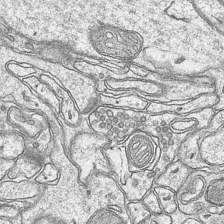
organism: Mouse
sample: CA1 Hippocampus